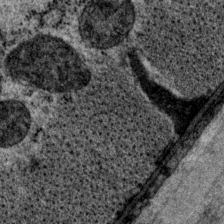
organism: P. pacificus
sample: Pharynx